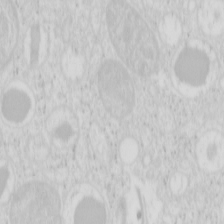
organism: Mouse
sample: Pancreas